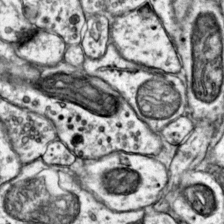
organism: Mouse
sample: Primary visual cortex